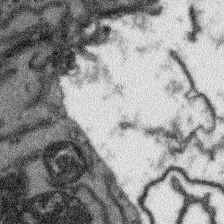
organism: Arabidopsis thaliana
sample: Root tip